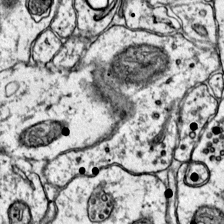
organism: Mouse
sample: Primary visual cortex